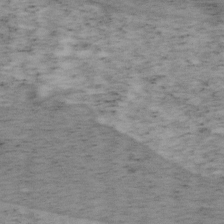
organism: Mouse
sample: OT-I killer T cells with ID8 ovarian cancer cells